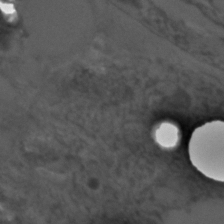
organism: C. elegans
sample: C. elegans embryo